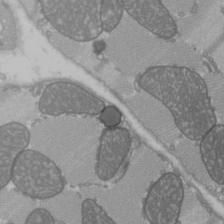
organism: C57BL Mouse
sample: Heart